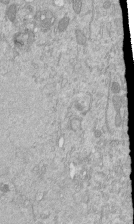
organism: Mouse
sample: ED-1 cell nuclei; centrioles